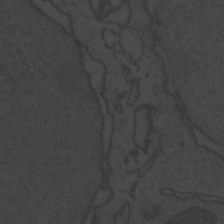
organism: Zebrafish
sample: Macrophage infected with Toxoplasma gondii